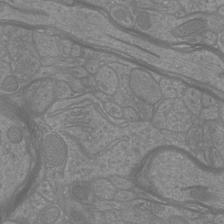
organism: Mouse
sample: Cortical neurons